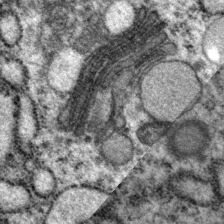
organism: P. pacificus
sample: Pharynx